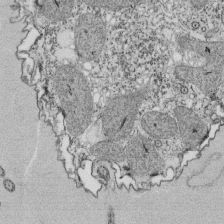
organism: Tetrahymena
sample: Cilia in tetrahymena